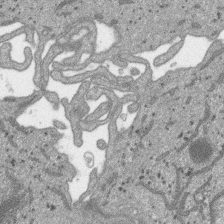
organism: Human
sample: Lung epithelial cells infected with SARS-CoV-2